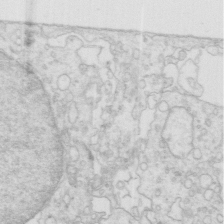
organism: Mouse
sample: Multiciliated cells